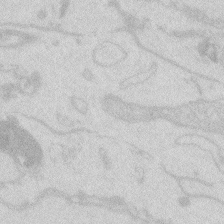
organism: Zebrafish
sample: Macrophage